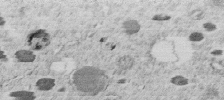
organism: C. elegans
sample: C. elegans embryo early stage